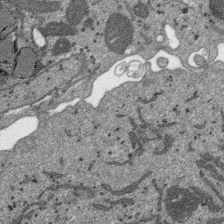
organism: Human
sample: Lung epithelial cells infected with SARS-CoV-2